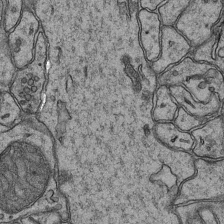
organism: Mouse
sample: CA1 Hippocampus